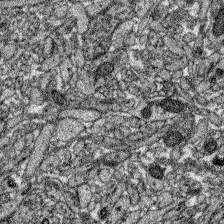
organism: Zebrafish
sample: Larval olfactory bulb